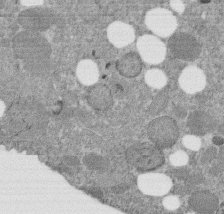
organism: C. elegans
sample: C. elegans embryo early stage